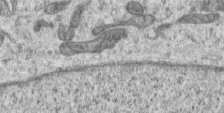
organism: Human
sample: Centriole in RPE cells